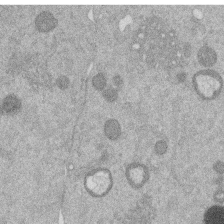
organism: Mouse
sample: Dividing mouse embryo 1 cell stage